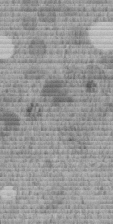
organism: C. elegans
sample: C. elegans embryo early stage